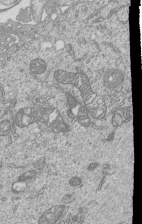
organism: Human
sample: MDA-MB-231 cells